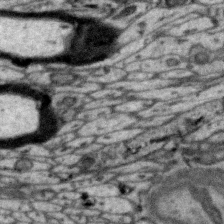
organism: Zebra finch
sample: Brain